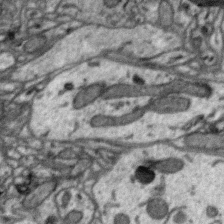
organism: Zebra finch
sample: Brain